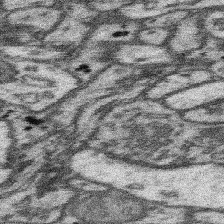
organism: Mouse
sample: Somatosensory cortex neuropil